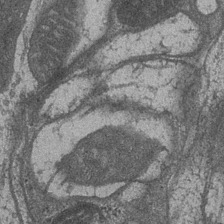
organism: Drosophila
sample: Optic medulla